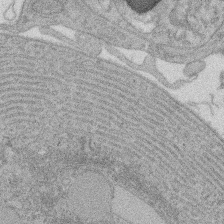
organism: Rat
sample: Salivary granule